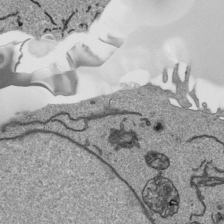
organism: Human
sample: Mitochondria in HCT116 cells